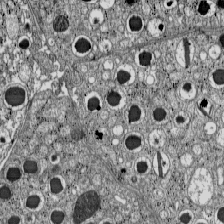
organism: C57BL Mouse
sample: Pancreatic islet